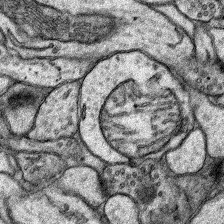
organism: Rat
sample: Hippocampus